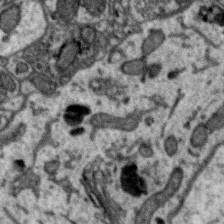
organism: Zebra finch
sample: Brain